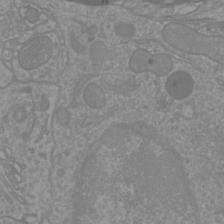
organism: Mouse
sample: Cortical neurons